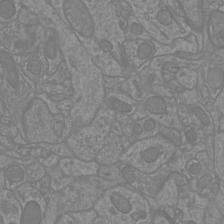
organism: Mouse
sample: Cortical neurons